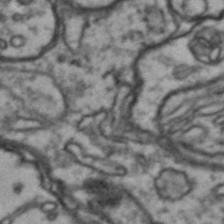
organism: Drosophila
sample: Brain